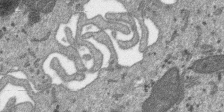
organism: Human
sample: Lung epithelial cells infected with SARS-CoV-2